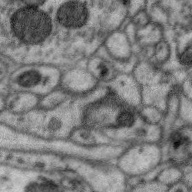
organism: Zebra finch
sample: Brain